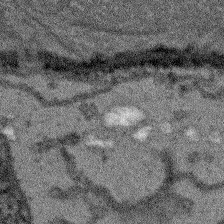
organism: Arabidopsis thaliana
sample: Root tip